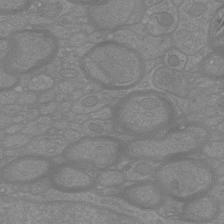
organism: Mouse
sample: Cortical neurons